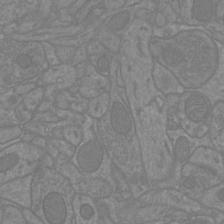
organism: Mouse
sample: Cortical neurons